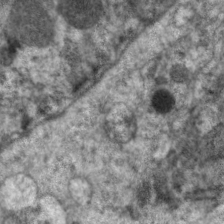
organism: C. elegans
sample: Pharynx